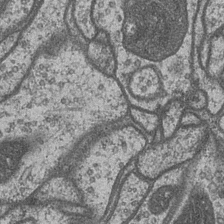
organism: Drosophila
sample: Optic medulla